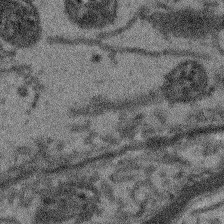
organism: Arabidopsis thaliana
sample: Root tip